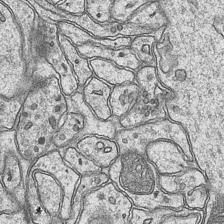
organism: Mouse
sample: CA1 Hippocampus